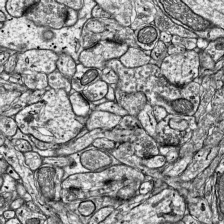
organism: Mouse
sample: Visual Cortex